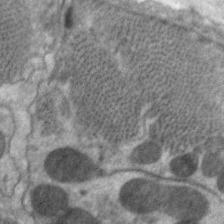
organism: C. elegans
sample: Pharynx